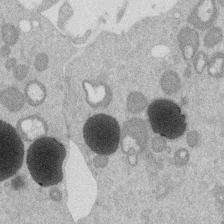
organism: Mouse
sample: Dividing mouse embryo 1 cell stage